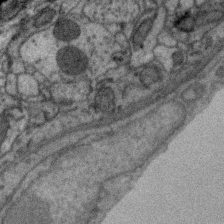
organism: Zebra finch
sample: Brain